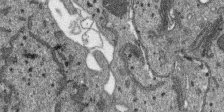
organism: Human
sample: Lung epithelial cells infected with SARS-CoV-2